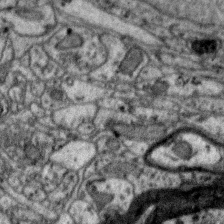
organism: Zebra finch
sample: Brain